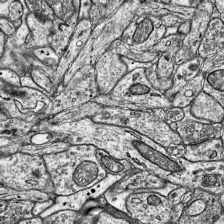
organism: Mouse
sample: Visual Cortex